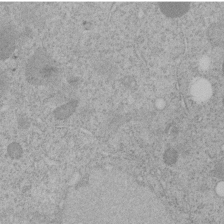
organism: C. elegans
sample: C. elegans embryo early stage